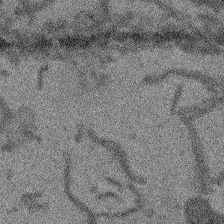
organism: Arabidopsis thaliana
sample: Root tip